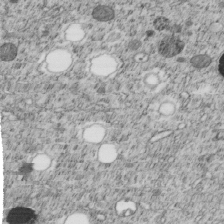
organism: C. elegans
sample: C. elegans embryo early stage